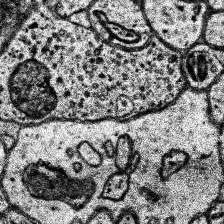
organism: Human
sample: Temporal Lobe